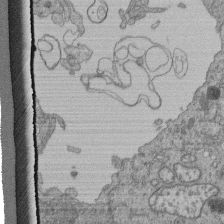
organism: Human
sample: Retinal organoid Rod and Cone cells